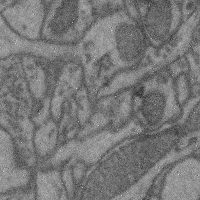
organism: Mouse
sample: Cerebral cortex